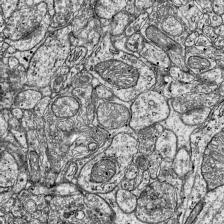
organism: Mouse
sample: Visual Cortex